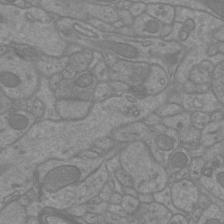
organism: Mouse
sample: Cortical neurons